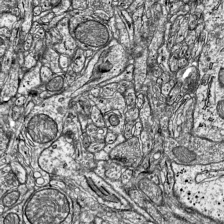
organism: Mouse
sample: Visual Cortex